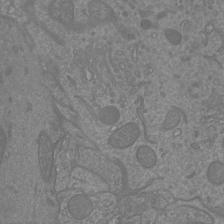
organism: Mouse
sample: Cortical neurons